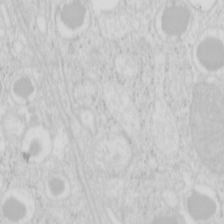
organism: Mouse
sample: Pancreas